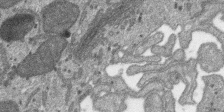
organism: Human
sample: Lung epithelial cells infected with SARS-CoV-2